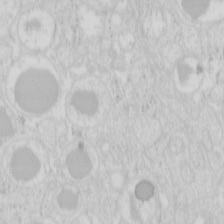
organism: Mouse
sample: Pancreas